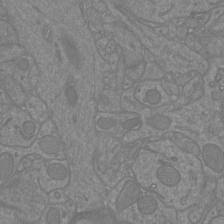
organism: Mouse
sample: Cortical neurons